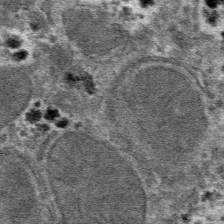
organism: Mouse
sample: Mouse hepatocytes